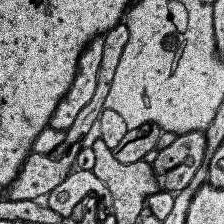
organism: Human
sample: Temporal Lobe